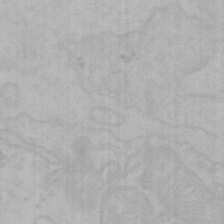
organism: Mouse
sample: Choroid plexus